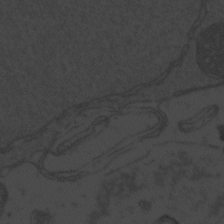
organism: Zebrafish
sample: Macrophage infected with Toxoplasma gondii